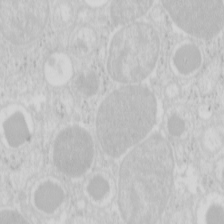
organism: Mouse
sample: Pancreas